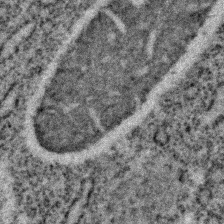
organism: C. elegans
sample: C. elegans embryo